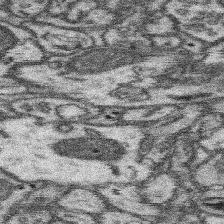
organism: Mouse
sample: Somatosensory cortex neuropil